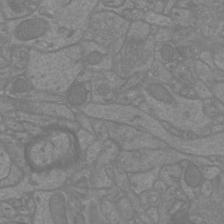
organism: Mouse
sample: Cortical neurons